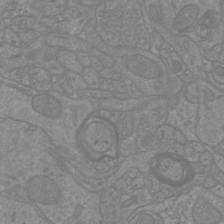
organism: Mouse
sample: Cortical neurons